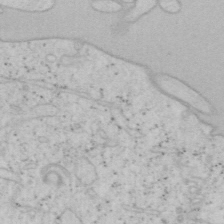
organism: Human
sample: HeLa cells